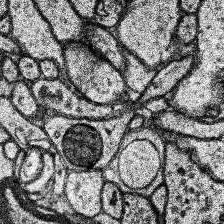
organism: Human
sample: Temporal Lobe